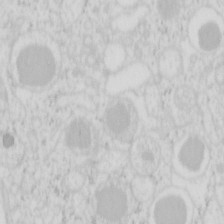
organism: Mouse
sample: Pancreas